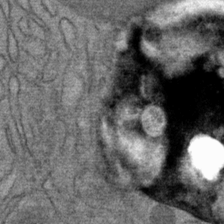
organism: Mouse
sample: Mouse Salivary gland